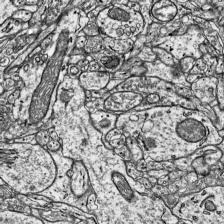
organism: Mouse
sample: Visual Cortex